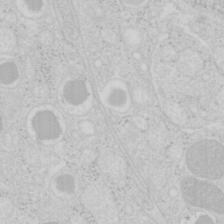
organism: Mouse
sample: Pancreas